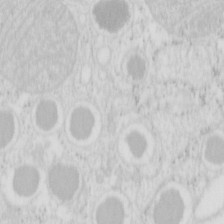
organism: Mouse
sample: Pancreas